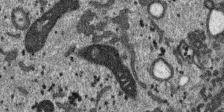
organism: Human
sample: Lung epithelial cells infected with SARS-CoV-2